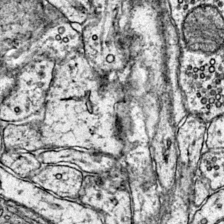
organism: Mouse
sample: Primary visual cortex